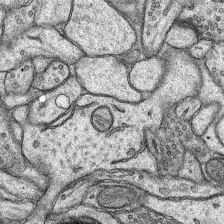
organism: Rat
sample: Hippocampus